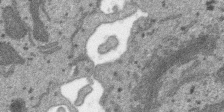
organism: Human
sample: Lung epithelial cells infected with SARS-CoV-2